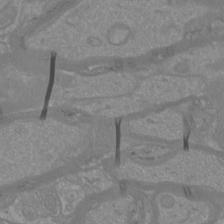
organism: Mouse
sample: Cortical neurons